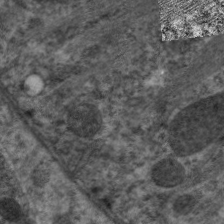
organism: C. elegans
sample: Pharynx